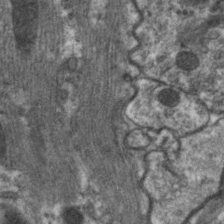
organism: C. elegans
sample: Pharynx